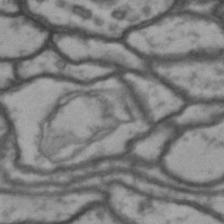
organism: Drosophila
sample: Brain